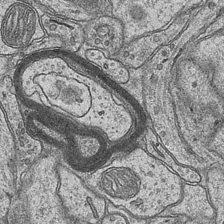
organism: Mouse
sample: CA1 Hippocampus